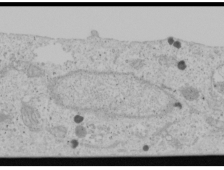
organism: Human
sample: Mitochondria in U2OS cells